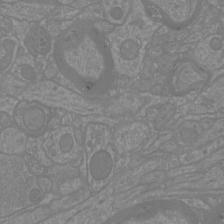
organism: Mouse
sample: Cortical neurons